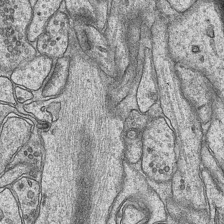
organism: Mouse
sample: CA1 Hippocampus